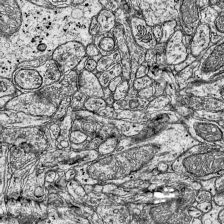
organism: Mouse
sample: Visual Cortex